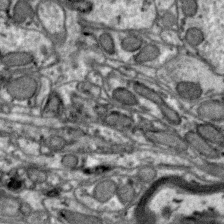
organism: Zebra finch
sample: Brain